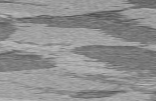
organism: C57BL Mouse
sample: Heart